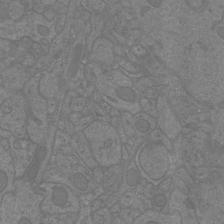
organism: Mouse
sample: Cortical neurons